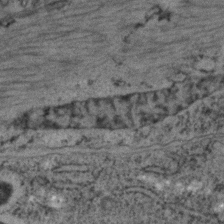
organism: C. elegans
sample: C. elegans embryo